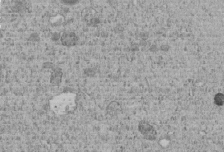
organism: C. elegans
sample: C. elegans embryo early stage